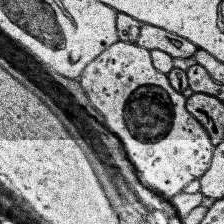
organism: Human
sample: Temporal Lobe